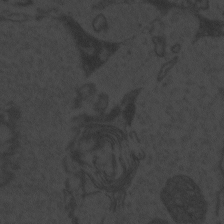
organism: Zebrafish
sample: Macrophage infected with Toxoplasma gondii